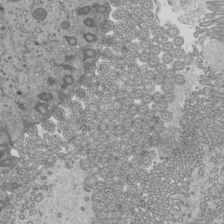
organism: Mouse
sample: Cilia; mouse epididymis